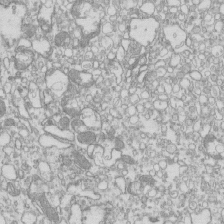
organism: Mouse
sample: Macrophages